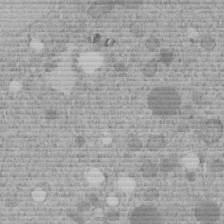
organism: C. elegans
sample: C. elegans embryo early stage